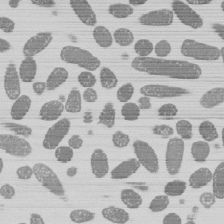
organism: E. coli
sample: Bacterial nucleoid